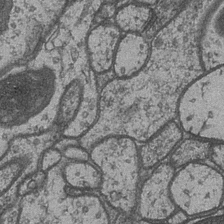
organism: Drosophila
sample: Optic medulla